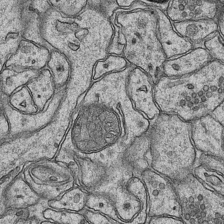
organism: Mouse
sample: CA1 Hippocampus